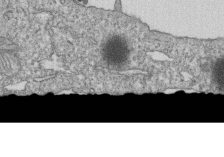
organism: Human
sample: HeLa cell HIV synapse